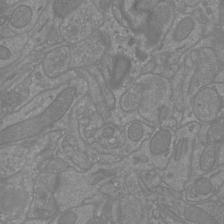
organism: Mouse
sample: Cortical neurons